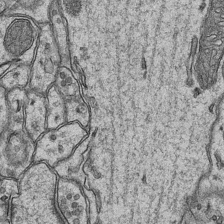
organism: Mouse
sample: CA1 Hippocampus